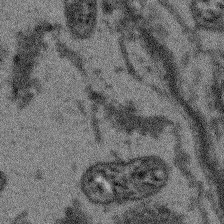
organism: Arabidopsis thaliana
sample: Root tip